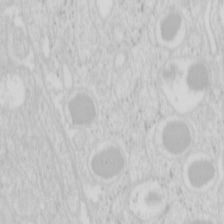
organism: Mouse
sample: Pancreas